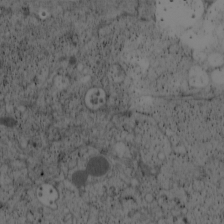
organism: African green monkey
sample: COS-7 cells